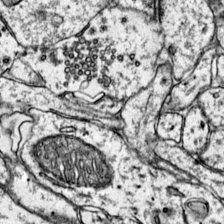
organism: Mouse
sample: Primary visual cortex